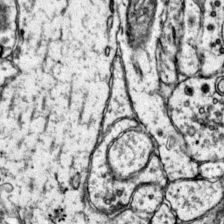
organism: Mouse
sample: Primary visual cortex